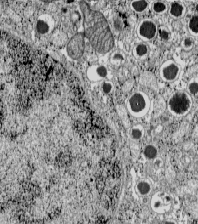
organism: C57BL Mouse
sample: Pancreatic islet